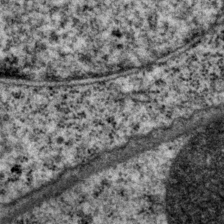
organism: P. pacificus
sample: Pharynx